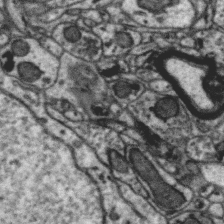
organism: Zebra finch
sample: Brain